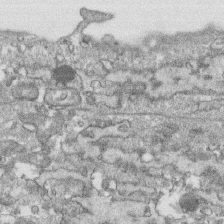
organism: Human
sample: CRL-1474